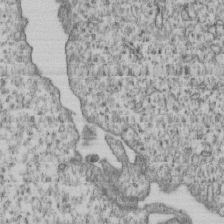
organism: Human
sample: MDA-MB-231 cells